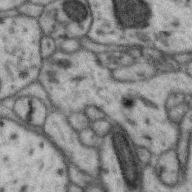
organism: Zebra finch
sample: Brain